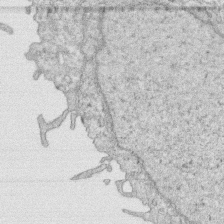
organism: Human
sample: HeLa cell HIV synapse